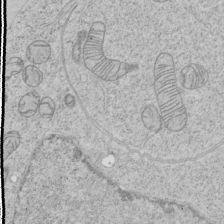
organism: Human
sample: Mitochondria in HCT116 cells